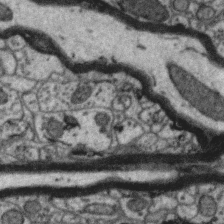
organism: Zebra finch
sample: Brain